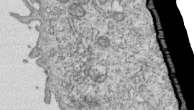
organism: Human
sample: HeLa cell HIV synapse